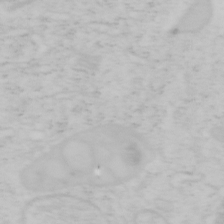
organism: Mouse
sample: OT-I killer T cells with ID8 ovarian cancer cells